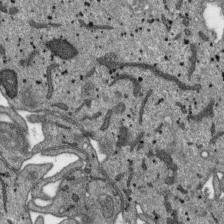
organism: Human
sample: Lung epithelial cells, uninfected (mock) control